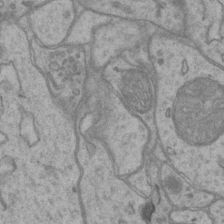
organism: Mouse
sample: CA1 Hippocampus